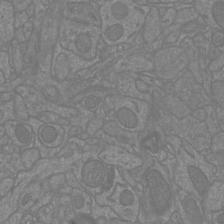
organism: Mouse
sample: Cortical neurons